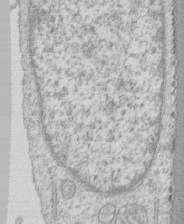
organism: Human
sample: CRL-1474